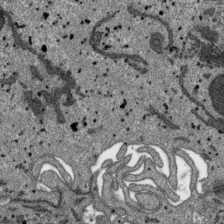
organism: Human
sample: Lung epithelial cells, uninfected (mock) control